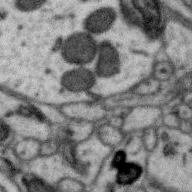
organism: Zebra finch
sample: Brain